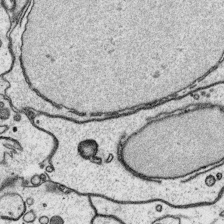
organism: Platynereis dumerilii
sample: Parapodia